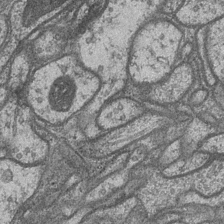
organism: Drosophila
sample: Optic medulla